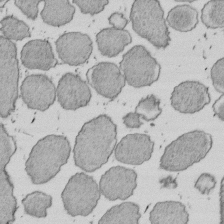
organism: E. coli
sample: Bacterial nucleoid